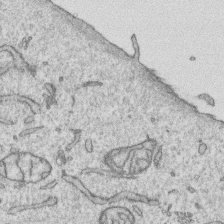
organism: Human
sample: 1205lu cells